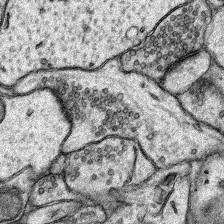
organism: Rat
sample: Hippocampus